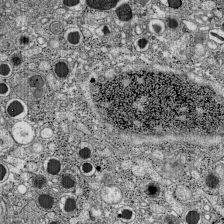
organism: C57BL Mouse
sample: Pancreatic islet